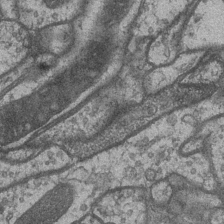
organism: Drosophila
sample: Optic medulla